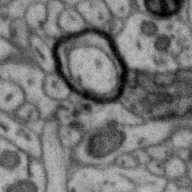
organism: Zebra finch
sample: Brain